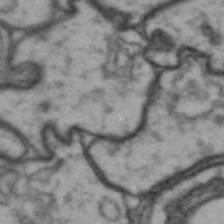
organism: Drosophila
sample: Brain